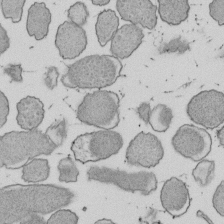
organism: E. coli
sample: Bacterial nucleoid